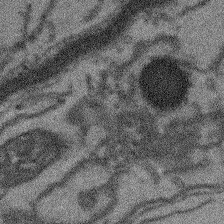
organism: Arabidopsis thaliana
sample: Root tip